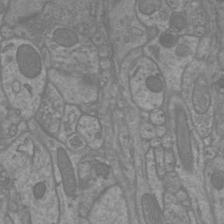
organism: Mouse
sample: Cortical neurons